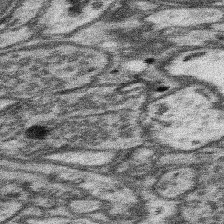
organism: Mouse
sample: Somatosensory cortex neuropil